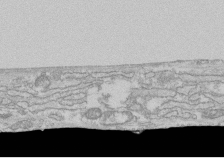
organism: Human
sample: CRL-1474